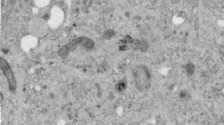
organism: Human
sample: Centriole in RPE cells